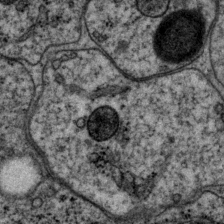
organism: P. pacificus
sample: Pharynx